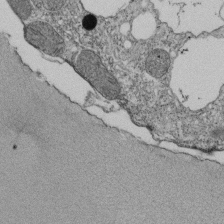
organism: Tetrahymena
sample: Cilia in tetrahymena